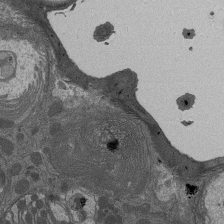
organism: Drosophila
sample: Antenna